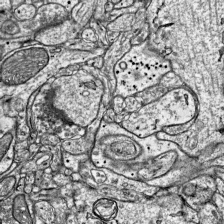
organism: Mouse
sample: Visual Cortex